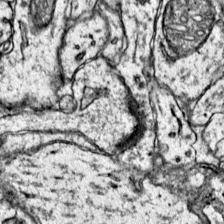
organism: Mouse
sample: Primary visual cortex